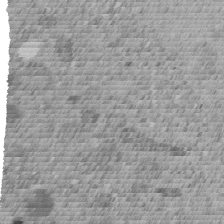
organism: C. elegans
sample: C. elegans embryo early stage